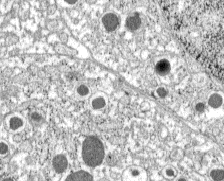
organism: C57BL Mouse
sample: Pancreatic islet